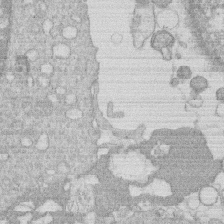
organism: Human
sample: Macrophage cells